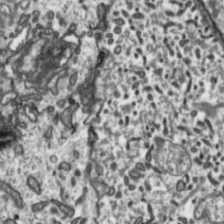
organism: Toxoplasma gondii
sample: Parasites in a vacuole inside a host cell